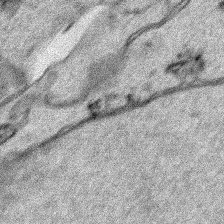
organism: Human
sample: Mitochondria in HCT116 cells